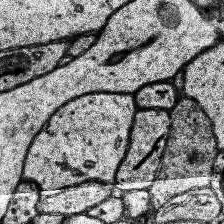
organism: Human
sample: Temporal Lobe